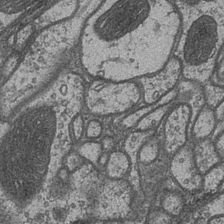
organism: Drosophila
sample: Optic medulla